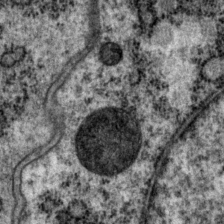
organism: P. pacificus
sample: Pharynx